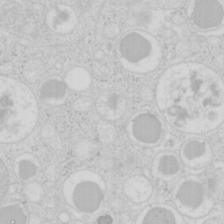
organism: Mouse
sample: Pancreas